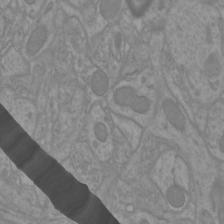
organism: Mouse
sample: Cortical neurons